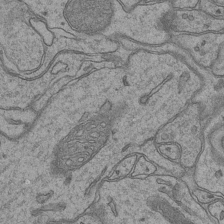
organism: Mouse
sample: CA1 Hippocampus